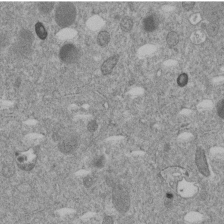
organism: C. elegans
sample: C. elegans embryo early stage